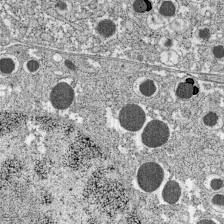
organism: C57BL Mouse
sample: Pancreatic islet